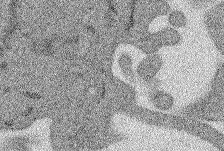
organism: Human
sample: HeLa cells